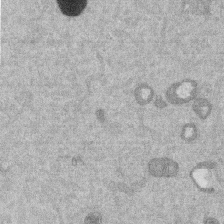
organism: Mouse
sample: Dividing mouse embryo 1 cell stage